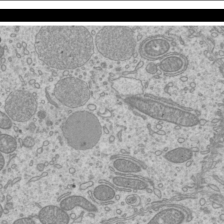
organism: Mouse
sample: Cilia; mouse epididymis